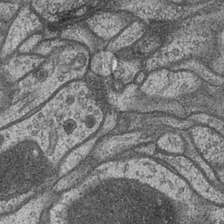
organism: Drosophila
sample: Optic medulla